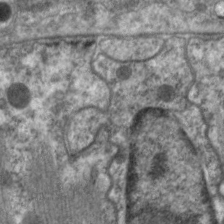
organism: C. elegans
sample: Pharynx